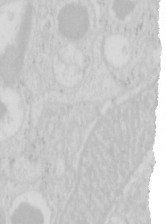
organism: Mouse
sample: Pancreas